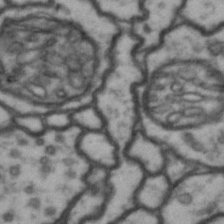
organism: Drosophila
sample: Brain